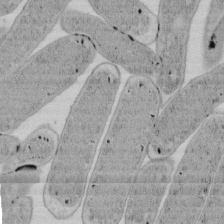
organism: E. coli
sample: Bacterial nucleoid